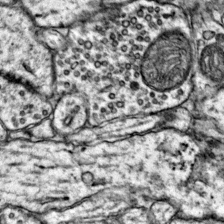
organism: Mouse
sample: Primary visual cortex